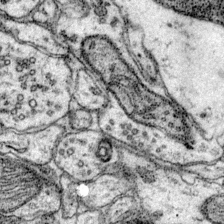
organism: Mouse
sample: Primary visual cortex